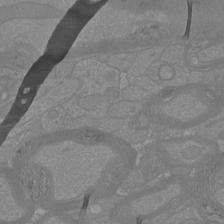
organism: Mouse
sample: Cortical neurons